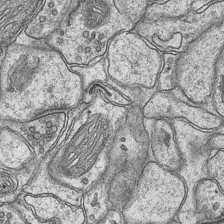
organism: Mouse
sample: CA1 Hippocampus